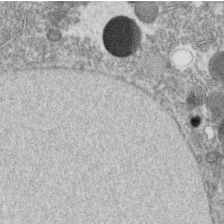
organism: C. elegans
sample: C. elegans oocyte; sperm cells